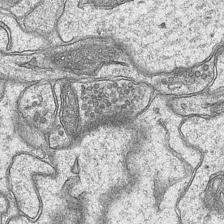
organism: Mouse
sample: CA1 Hippocampus